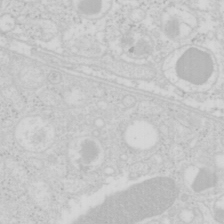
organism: Mouse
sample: Pancreas